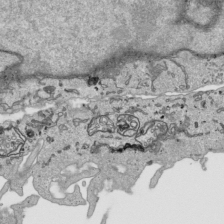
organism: Human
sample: Mitochondria in HCT116 cells